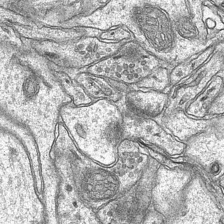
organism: Mouse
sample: CA1 Hippocampus